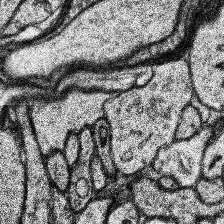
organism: Human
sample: Temporal Lobe